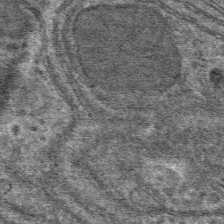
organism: Mouse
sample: Mouse hepatocytes